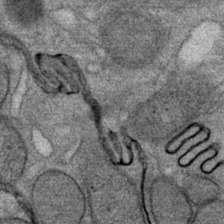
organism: Mouse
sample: Mouse Salivary gland